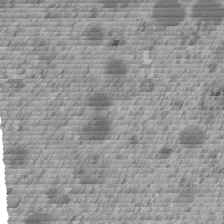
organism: C. elegans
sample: C. elegans embryo early stage